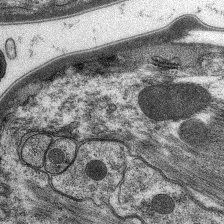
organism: C. elegans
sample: Pharynx